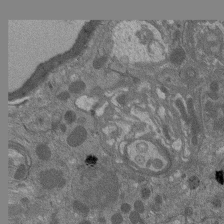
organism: Drosophila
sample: Antenna